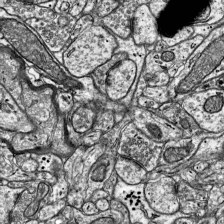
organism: Mouse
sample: Visual Cortex